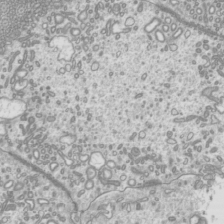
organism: Mouse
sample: Cilia; mouse epididymis